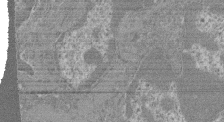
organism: Mouse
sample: Glomerulus